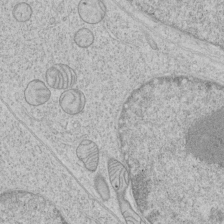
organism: Human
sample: Mitochondria in HCT116 cells